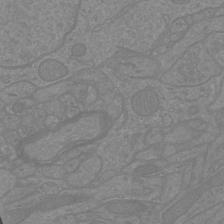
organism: Mouse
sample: Cortical neurons